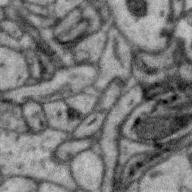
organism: Zebra finch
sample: Brain